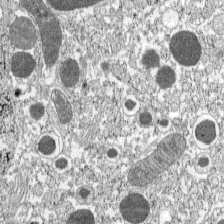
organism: C57BL Mouse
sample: Pancreatic islet